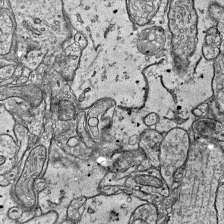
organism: Mouse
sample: Visual Cortex